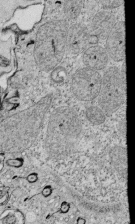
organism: Tetrahymena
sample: Cilia in tetrahymena